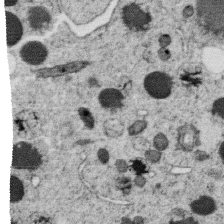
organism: C. elegans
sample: C. elegans oocyte; sperm cells